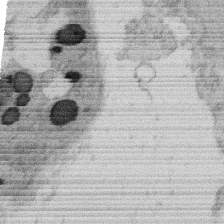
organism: Rat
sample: Salivary granule